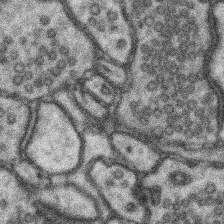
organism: Mouse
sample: Somatosensory cortex neuropil